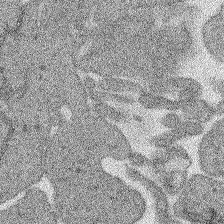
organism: Human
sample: HeLa cells